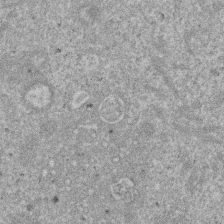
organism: Mouse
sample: Dividing mouse embryo 1 cell stage